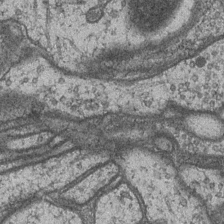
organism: Drosophila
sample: Optic medulla